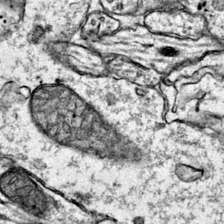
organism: Mouse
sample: Primary visual cortex